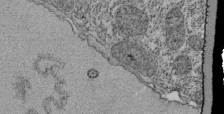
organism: Tetrahymena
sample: Cilia in tetrahymena